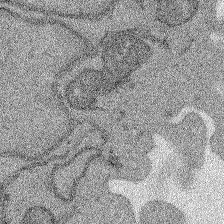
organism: Human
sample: HeLa cells